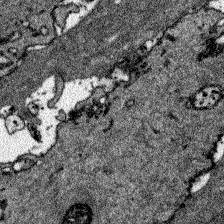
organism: Zebrafish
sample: Larval olfactory bulb